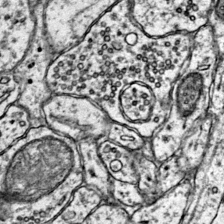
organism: Mouse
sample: Primary visual cortex